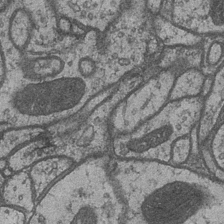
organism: Drosophila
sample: Optic medulla